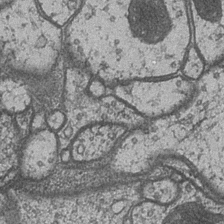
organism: Drosophila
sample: Optic medulla